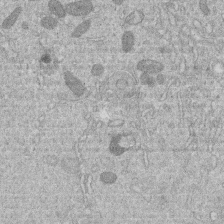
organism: Human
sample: Macrophage cells